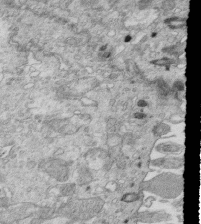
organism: Mouse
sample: Multiciliated cells